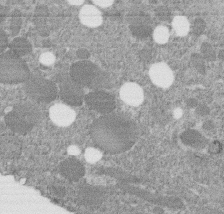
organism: C. elegans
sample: C. elegans embryo early stage